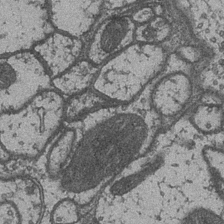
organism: Drosophila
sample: Optic medulla